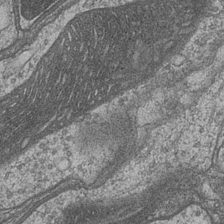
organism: Drosophila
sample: Optic medulla